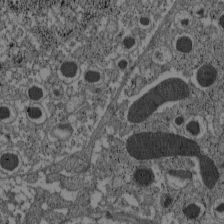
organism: C57BL Mouse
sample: Pancreatic islet